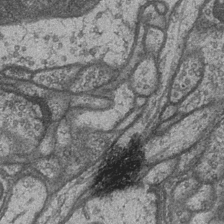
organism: Drosophila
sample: Optic medulla